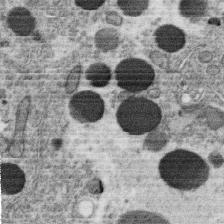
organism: C. elegans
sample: C. elegans oocyte; sperm cells